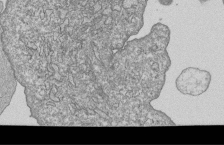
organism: Human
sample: MDA-MB-231 cells